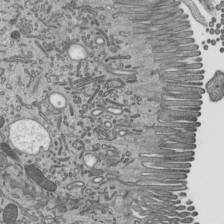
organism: Mouse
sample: Mouse epididymis efferent ductule cilia